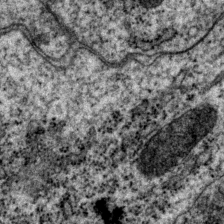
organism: P. pacificus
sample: Pharynx